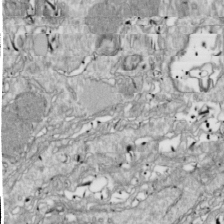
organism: Drosophila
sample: Cell division; meiosis; drosophila spermatocytes